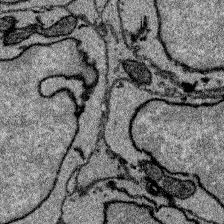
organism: Zebrafish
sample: Larval olfactory bulb